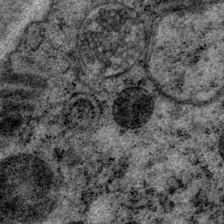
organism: P. pacificus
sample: Pharynx